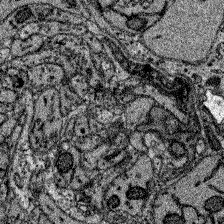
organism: Zebrafish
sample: Larval olfactory bulb